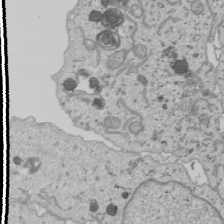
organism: Human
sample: Mitochondria in U2OS cells